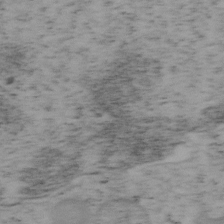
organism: Mouse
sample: OT-I killer T cells with ID8 ovarian cancer cells